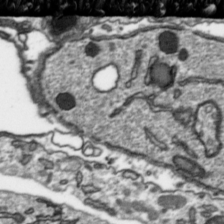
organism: Toxoplasma gondii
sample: Parasites in a vacuole inside a host cell